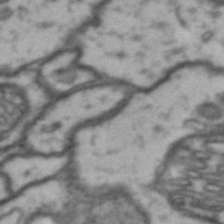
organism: Drosophila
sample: Brain